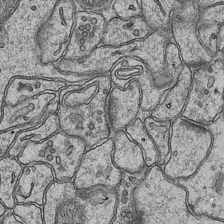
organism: Mouse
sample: CA1 Hippocampus